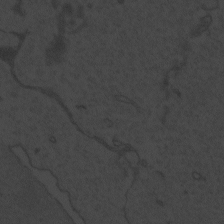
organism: Zebrafish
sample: Macrophage infected with Toxoplasma gondii